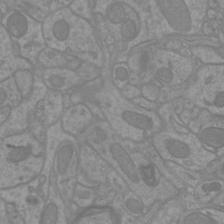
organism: Mouse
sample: Cortical neurons